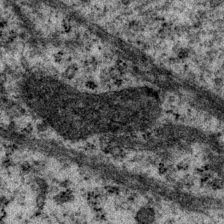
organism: P. pacificus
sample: Pharynx